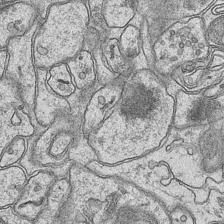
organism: Mouse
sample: CA1 Hippocampus